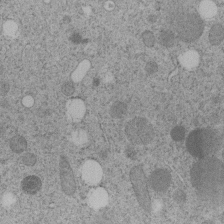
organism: C. elegans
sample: C. elegans embryo early stage